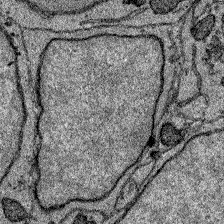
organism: Zebrafish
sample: Larval olfactory bulb